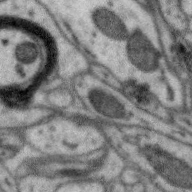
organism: Zebra finch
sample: Brain